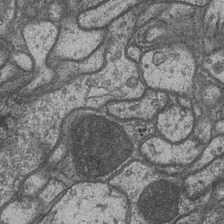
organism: Drosophila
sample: Optic medulla